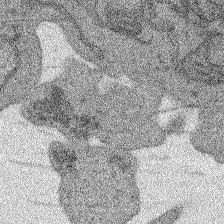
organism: Human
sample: HeLa cells